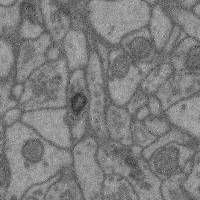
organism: Mouse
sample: Cerebral cortex